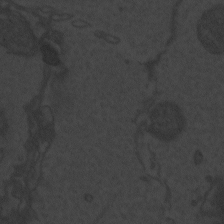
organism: Zebrafish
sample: Macrophage infected with Toxoplasma gondii